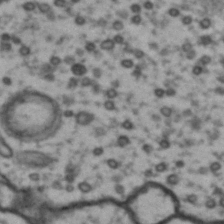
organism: Drosophila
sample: Brain